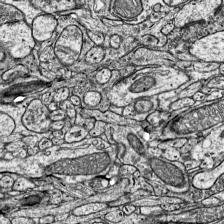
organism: Mouse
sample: Visual Cortex